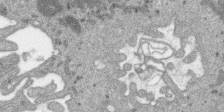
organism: Human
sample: Lung epithelial cells infected with SARS-CoV-2